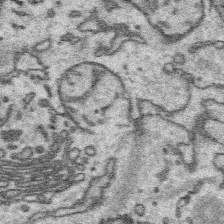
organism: Platynereis dumerilii